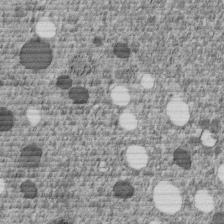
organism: C. elegans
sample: C. elegans embryo early stage